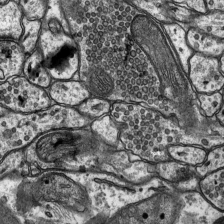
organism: Rat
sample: Hippocampus